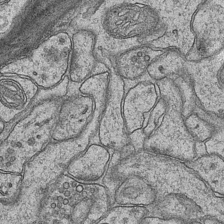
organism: Mouse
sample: CA1 Hippocampus